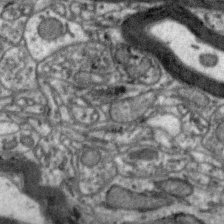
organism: Zebra finch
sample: Brain